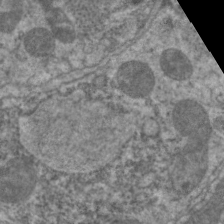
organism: C. elegans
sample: Pharynx